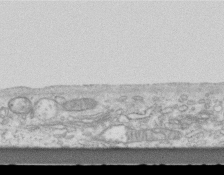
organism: Mouse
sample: Centriole in ependymal cells